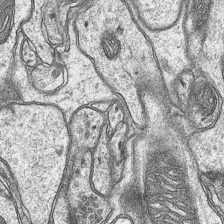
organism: Mouse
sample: CA1 Hippocampus